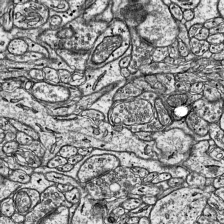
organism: Mouse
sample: Visual Cortex